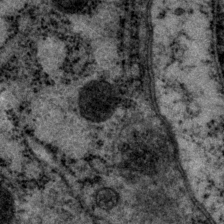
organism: P. pacificus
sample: Pharynx